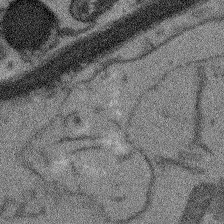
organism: Arabidopsis thaliana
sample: Root tip